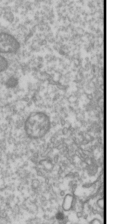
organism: Drosophila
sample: Cell division; meiosis; drosophila spermatocytes